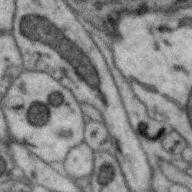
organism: Zebra finch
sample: Brain